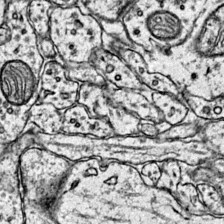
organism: Mouse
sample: Primary visual cortex